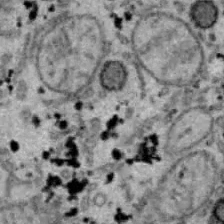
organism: Mouse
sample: Liver from an obese (ob/ob) mouse